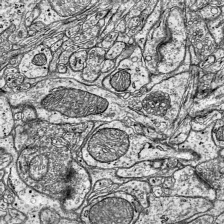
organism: Mouse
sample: Visual Cortex